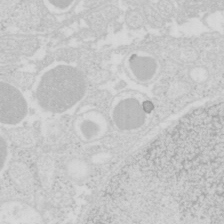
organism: Mouse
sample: Pancreas